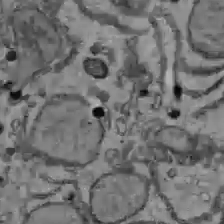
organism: C57BL Mouse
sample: Liver